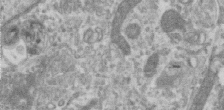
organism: Human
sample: Centriole in RPE cells